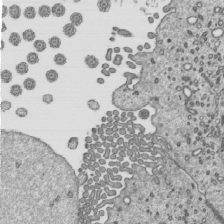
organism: Mouse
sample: Mouse epididymis efferent ductule cilia